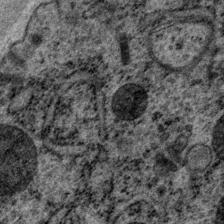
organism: P. pacificus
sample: Pharynx